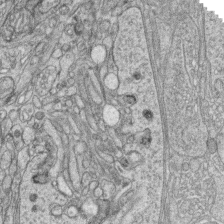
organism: Zebrafish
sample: synaptic ribbons in rod cells and cone cells